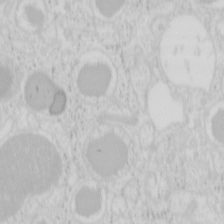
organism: Mouse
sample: Pancreas